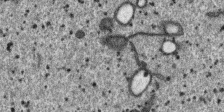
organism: Human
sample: Lung epithelial cells infected with SARS-CoV-2